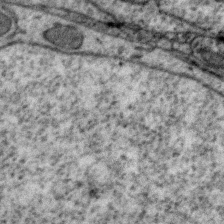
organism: Zebra finch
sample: Brain